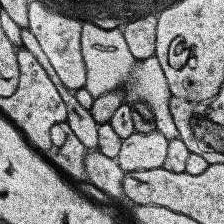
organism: Human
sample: Temporal Lobe